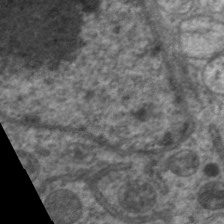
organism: C. elegans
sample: Pharynx